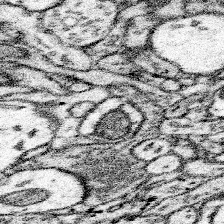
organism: Mouse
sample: Somatosensory cortex neuropil